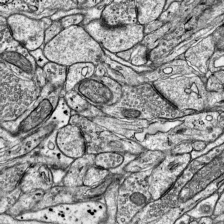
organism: Mouse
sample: Visual Cortex